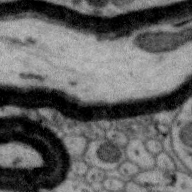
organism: Zebra finch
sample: Brain